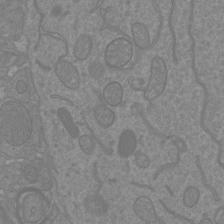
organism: Mouse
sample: Cortical neurons